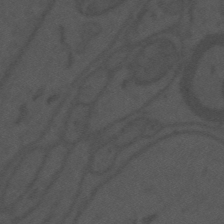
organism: Mouse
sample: Suprachiasmatic nucleus